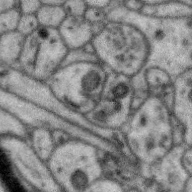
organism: Zebra finch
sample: Brain